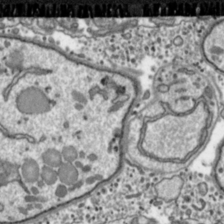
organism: Toxoplasma gondii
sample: Parasites in a vacuole inside a host cell